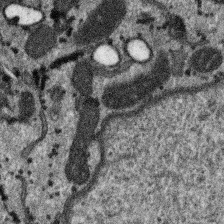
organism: Human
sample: Lung epithelial cells infected with SARS-CoV-2